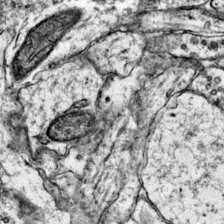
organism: Mouse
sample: Primary visual cortex